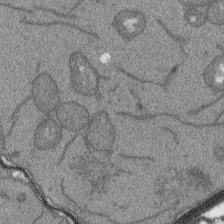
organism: Arabidopsis thaliana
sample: Root tip